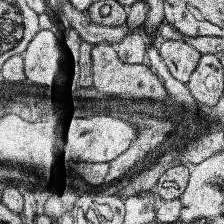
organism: Human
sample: Temporal Lobe